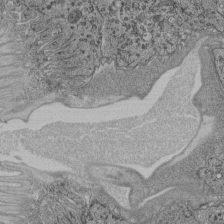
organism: C. elegans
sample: C. elegans pharynx